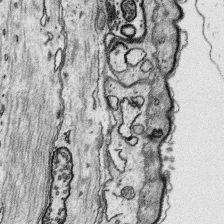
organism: Platynereis dumerilii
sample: Parapodia